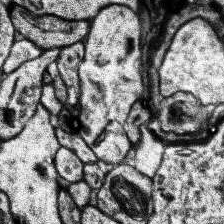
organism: Human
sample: Temporal Lobe